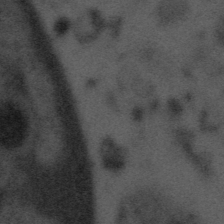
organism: Tuwongella immobilis